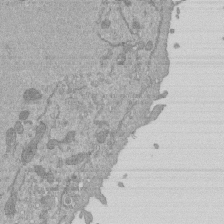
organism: Mouse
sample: ED-1 cell nuclei; centrioles